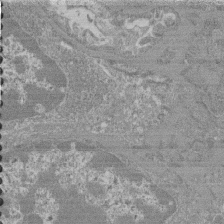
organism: Mouse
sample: Glomerulus